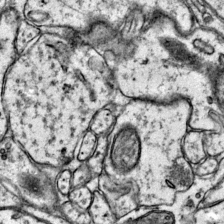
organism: Mouse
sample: Primary visual cortex